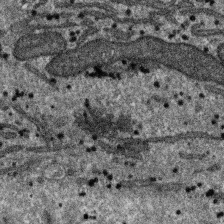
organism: Human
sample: Lung epithelial cells infected with SARS-CoV-2